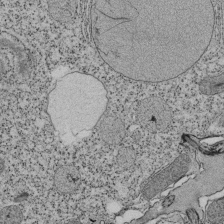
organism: Tetrahymena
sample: Cilia in tetrahymena